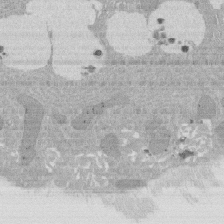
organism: Rat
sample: Salivary granule